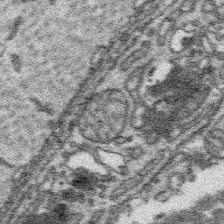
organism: Platynereis dumerilii